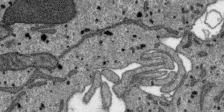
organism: Human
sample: Lung epithelial cells, uninfected (mock) control